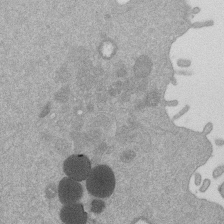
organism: Mouse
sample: Dividing mouse embryo 1 cell stage